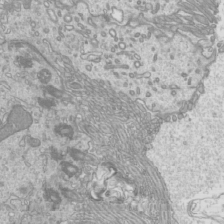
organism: Mouse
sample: Cilia; mouse epididymis